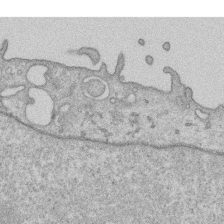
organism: Human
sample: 1205lu cells